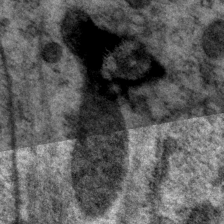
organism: P. pacificus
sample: Pharynx